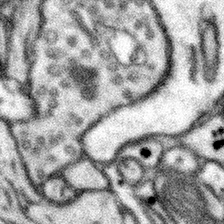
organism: Mouse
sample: Somatosensory cortex neuropil